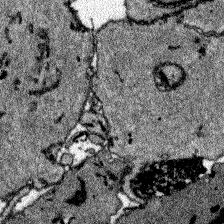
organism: Zebrafish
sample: Larval olfactory bulb